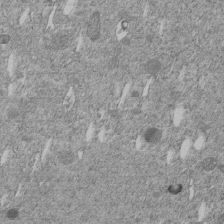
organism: C. elegans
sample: C. elegans embryo early stage